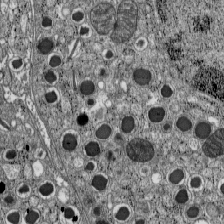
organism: C57BL Mouse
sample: Pancreatic islet